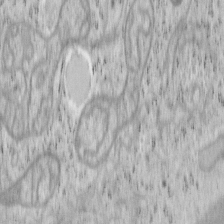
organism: Human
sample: HeLa cells